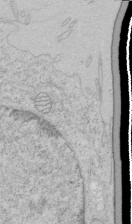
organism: Human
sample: Mitochondria in HCT116 cells